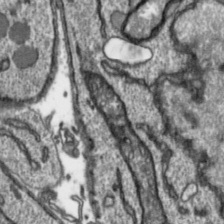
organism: Toxoplasma gondii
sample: Parasites in a vacuole inside a host cell